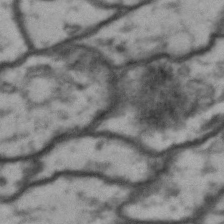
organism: Drosophila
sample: Brain